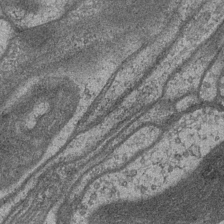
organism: Drosophila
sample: Optic medulla